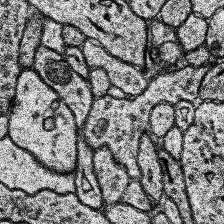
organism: Human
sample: Temporal Lobe